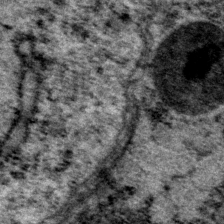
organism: P. pacificus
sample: Pharynx